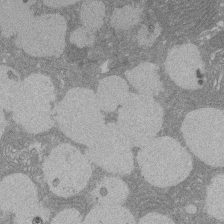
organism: Rat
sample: Salivary granule